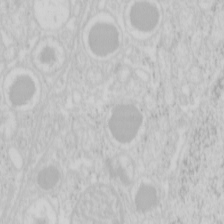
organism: Mouse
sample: Pancreas